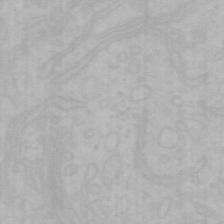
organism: Mouse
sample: Choroid plexus